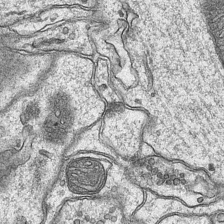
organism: Mouse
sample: CA1 Hippocampus